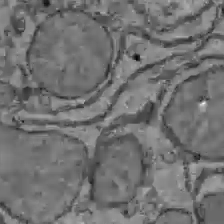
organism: C57BL Mouse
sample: Liver